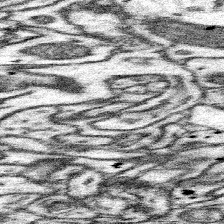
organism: Mouse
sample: Somatosensory cortex neuropil